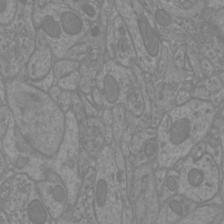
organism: Mouse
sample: Cortical neurons